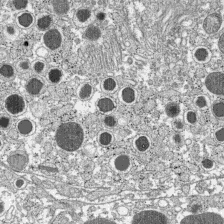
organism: C57BL Mouse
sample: Pancreatic islet